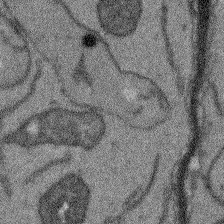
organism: Arabidopsis thaliana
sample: Root tip